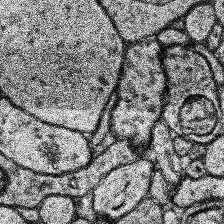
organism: Human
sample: Temporal Lobe